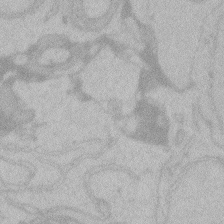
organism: Zebrafish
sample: Macrophage infected with Toxoplasma gondii